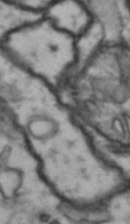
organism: Drosophila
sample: Brain